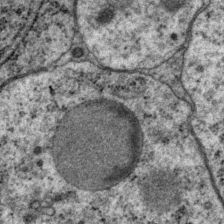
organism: P. pacificus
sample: Pharynx